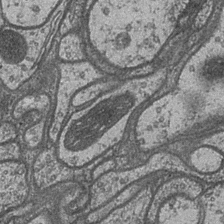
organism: Drosophila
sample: Optic medulla